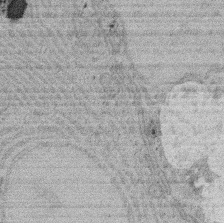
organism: Rat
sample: Salivary granule